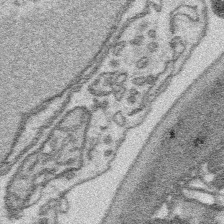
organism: Platynereis dumerilii